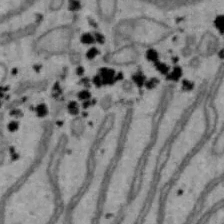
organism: Mouse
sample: Liver